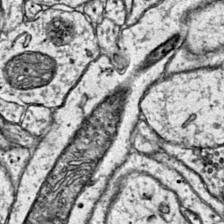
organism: Mouse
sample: Primary visual cortex